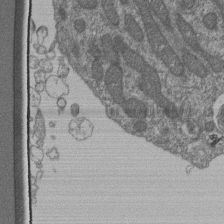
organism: Human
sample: Retinal organoid Rod and Cone cells